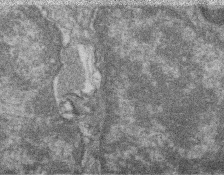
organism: Zebrafish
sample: Cilia; retinal pigment epithelium